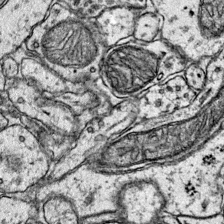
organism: Mouse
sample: Primary visual cortex